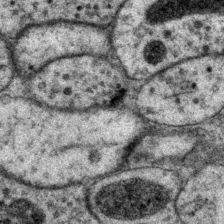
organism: P. pacificus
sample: Pharynx